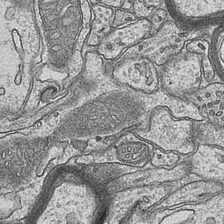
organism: Mouse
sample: CA1 Hippocampus